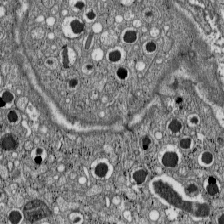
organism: C57BL Mouse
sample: Pancreatic islet